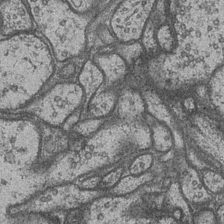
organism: Drosophila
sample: Optic medulla